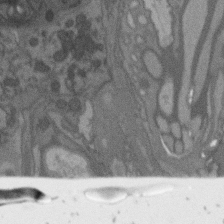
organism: C. elegans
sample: AFD neurons C. elegans